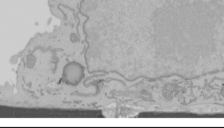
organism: Mouse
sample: Cancer cell death in ED-1 cells